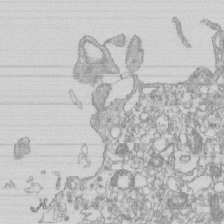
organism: Mouse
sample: Macrophages